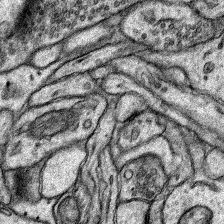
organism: Rat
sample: Hippocampus